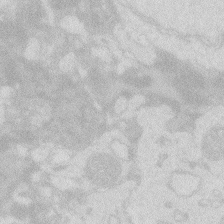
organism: Zebrafish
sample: Macrophage